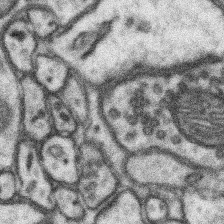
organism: Mouse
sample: Somatosensory cortex neuropil